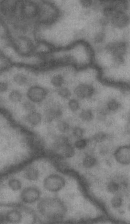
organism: Drosophila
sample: Brain